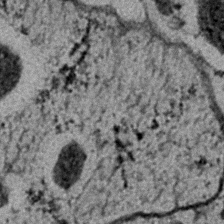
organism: C. elegans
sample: C. elegans embryo